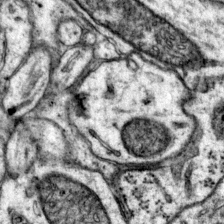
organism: Mouse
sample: Primary visual cortex